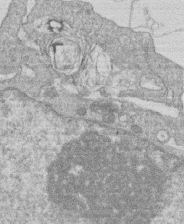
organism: Human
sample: Macrophage cells